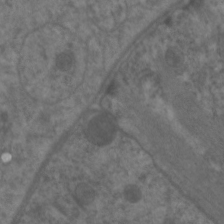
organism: C. elegans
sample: Pharynx